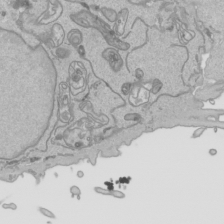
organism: Human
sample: Mitochondria in HCT116 cells